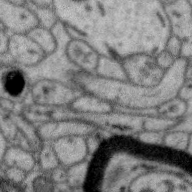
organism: Zebra finch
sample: Brain